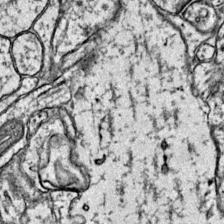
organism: Mouse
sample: Primary visual cortex